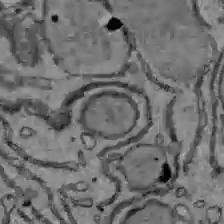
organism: C57BL Mouse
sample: Liver